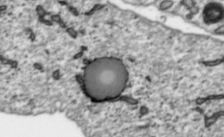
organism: Toxoplasma gondii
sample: Parasites in a vacuole inside a host cell